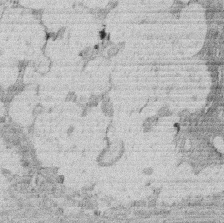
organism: Rat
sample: Salivary granule